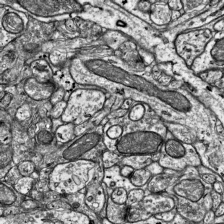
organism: Mouse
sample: Visual Cortex